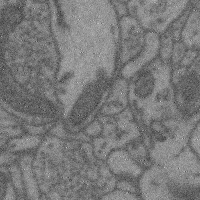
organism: Mouse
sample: Cerebral cortex